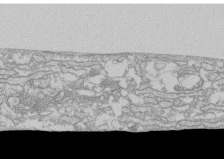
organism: Human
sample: CRL-1474